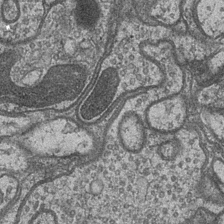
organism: Drosophila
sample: Optic medulla